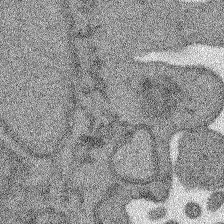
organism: Human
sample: HeLa cells